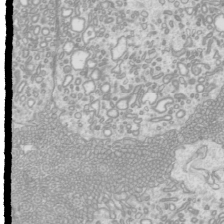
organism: Mouse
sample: Cilia; mouse epididymis